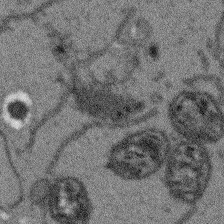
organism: Arabidopsis thaliana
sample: Root tip